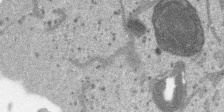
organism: Human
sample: Lung epithelial cells infected with SARS-CoV-2